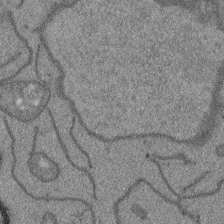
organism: Arabidopsis thaliana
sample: Root tip